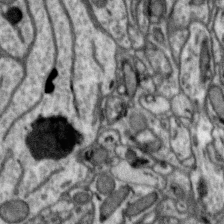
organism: Zebra finch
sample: Brain